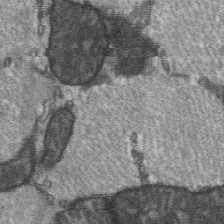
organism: C57BL Mouse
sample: Soleus